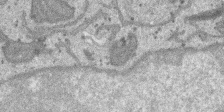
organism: Human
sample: Lung epithelial cells infected with SARS-CoV-2